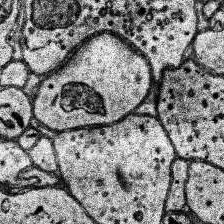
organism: Human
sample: Temporal Lobe